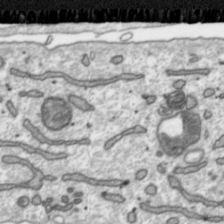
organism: Toxoplasma gondii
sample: Parasites in a vacuole inside a host cell